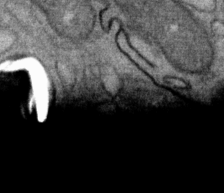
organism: Mouse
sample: Mouse Salivary gland